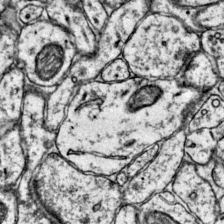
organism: Mouse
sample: Primary visual cortex